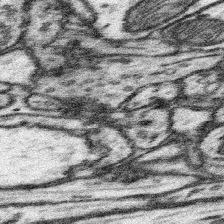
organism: Mouse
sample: Somatosensory cortex neuropil